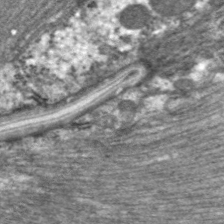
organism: C. elegans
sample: Pharynx